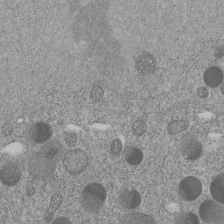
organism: C. elegans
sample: C. elegans embryo early stage